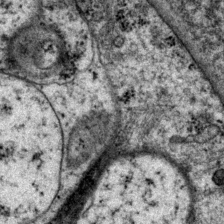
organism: P. pacificus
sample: Pharynx